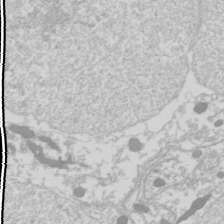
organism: Drosophila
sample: Cell division; meiosis; drosophila spermatocytes